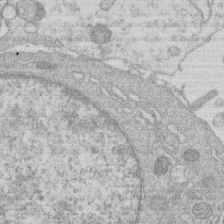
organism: Human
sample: Macrophage cells